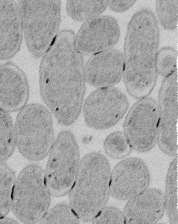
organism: E. coli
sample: Bacterial nucleoid